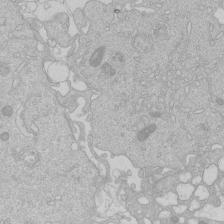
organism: Human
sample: Macrophage cells